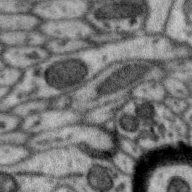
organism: Zebra finch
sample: Brain